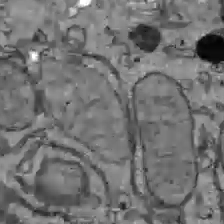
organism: C57BL Mouse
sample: Liver